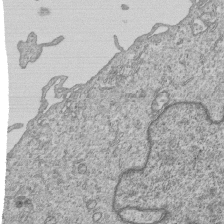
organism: Human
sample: MDA-MB-231 cells